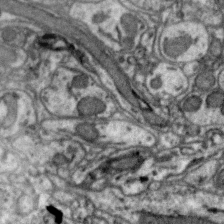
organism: Zebra finch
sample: Brain